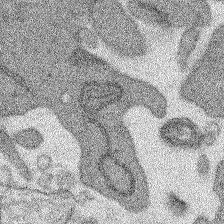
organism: Human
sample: HeLa cells